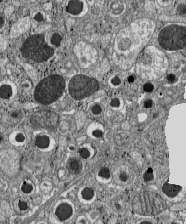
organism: C57BL Mouse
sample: Pancreatic islet